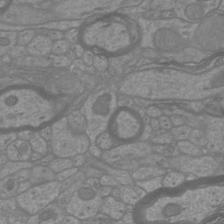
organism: Mouse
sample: Cortical neurons